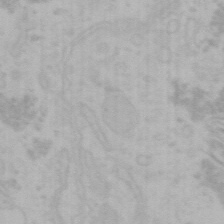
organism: Mouse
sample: Choroid plexus